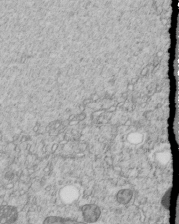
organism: C. elegans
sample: C. elegans embryo early stage